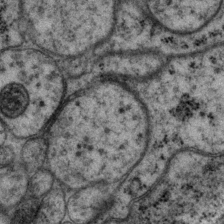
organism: P. pacificus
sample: Pharynx